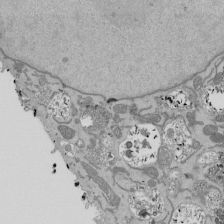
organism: Mouse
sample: ED-1 cell nuclei; centrioles